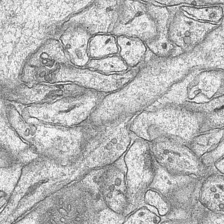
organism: Mouse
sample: CA1 Hippocampus